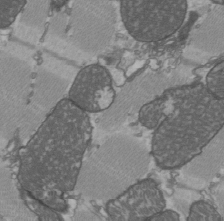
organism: C57BL Mouse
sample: Heart